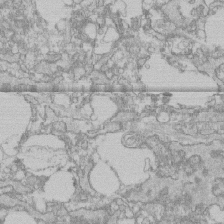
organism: Human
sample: CRL-1474